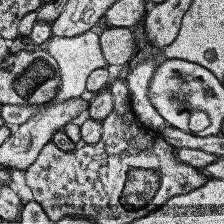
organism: Human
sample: Temporal Lobe